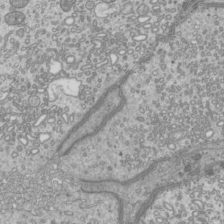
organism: Mouse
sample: Cilia; mouse epididymis